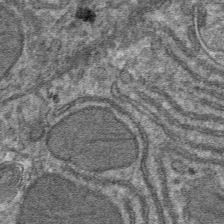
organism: Mouse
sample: Mouse hepatocytes